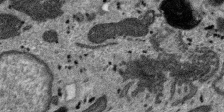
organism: Human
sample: Lung epithelial cells, uninfected (mock) control